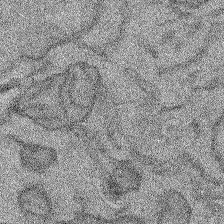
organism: Human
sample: HeLa cells